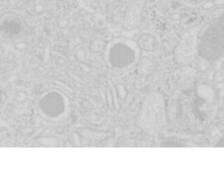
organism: Mouse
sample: Pancreas